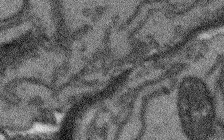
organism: Arabidopsis thaliana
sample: Root tip